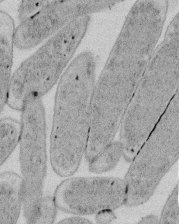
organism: E. coli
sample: Bacterial nucleoid